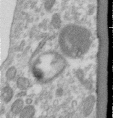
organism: Human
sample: Centriole in RPE cells